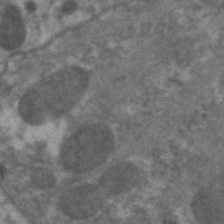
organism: C. elegans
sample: Pharynx